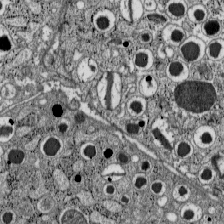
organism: C57BL Mouse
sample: Pancreatic islet